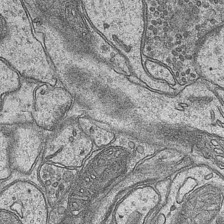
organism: Mouse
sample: CA1 Hippocampus